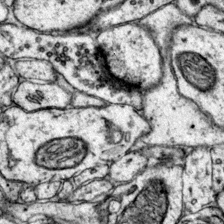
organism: Mouse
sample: Primary visual cortex